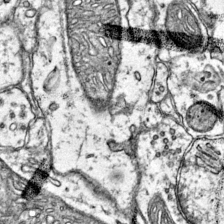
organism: Mouse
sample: Primary visual cortex